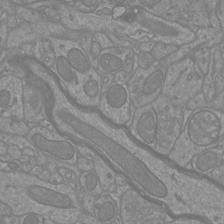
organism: Mouse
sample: Cortical neurons